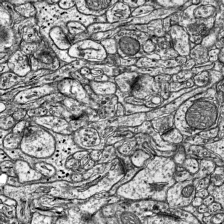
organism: Mouse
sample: Visual Cortex